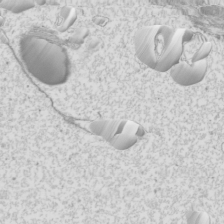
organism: Mouse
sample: Cilia; mouse epididymis